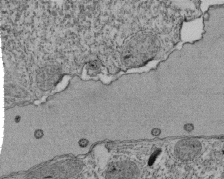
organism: Tetrahymena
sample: Cilia in tetrahymena